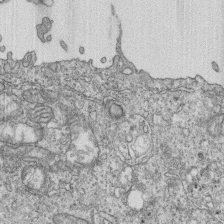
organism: Human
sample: HeLa cell HIV synapse